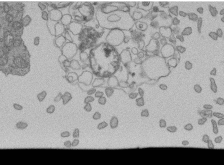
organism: Human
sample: Retinal organoid Rod and Cone cells